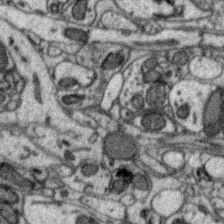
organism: Zebra finch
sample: Brain